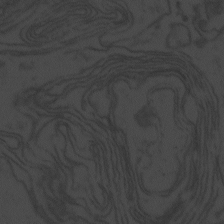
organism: Zebrafish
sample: Macrophage infected with Toxoplasma gondii